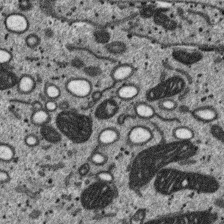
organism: Human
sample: Lung epithelial cells infected with SARS-CoV-2